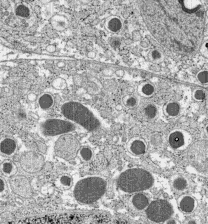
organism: C57BL Mouse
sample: Pancreatic islet